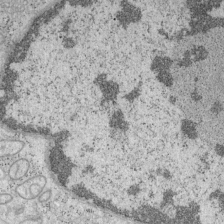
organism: Mouse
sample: OT-I killer T cells with ID8 ovarian cancer cells